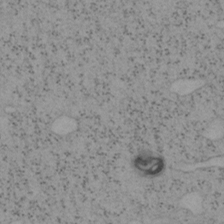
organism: Mouse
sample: OT-I killer T cells with ID8 ovarian cancer cells